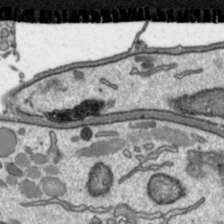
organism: Toxoplasma gondii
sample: Parasites in a vacuole inside a host cell